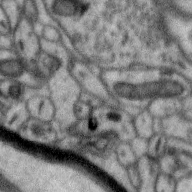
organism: Zebra finch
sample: Brain